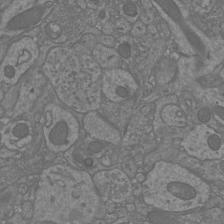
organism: Mouse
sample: Cortical neurons